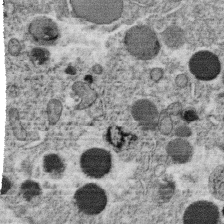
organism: C. elegans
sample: C. elegans oocyte; sperm cells